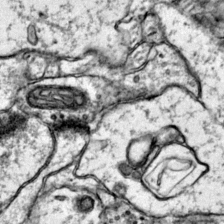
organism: Mouse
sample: Primary visual cortex